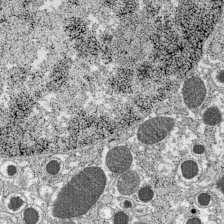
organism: C57BL Mouse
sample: Pancreatic islet